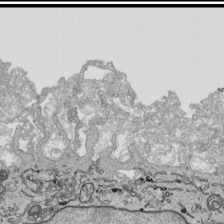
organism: Human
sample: Mitochondria in HCT116 cells